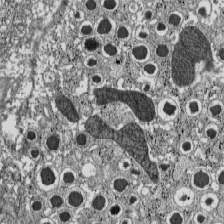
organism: C57BL Mouse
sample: Pancreatic islet